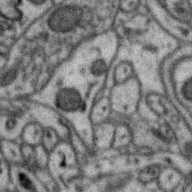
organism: Zebra finch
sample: Brain